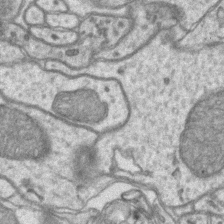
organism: Mouse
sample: CA1 Hippocampus